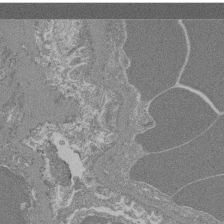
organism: Mouse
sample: Glomerulus